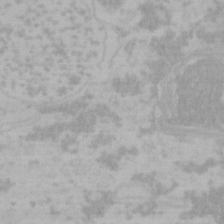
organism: Mouse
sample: Choroid plexus